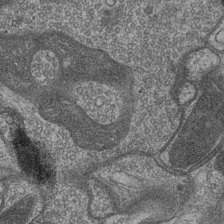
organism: Drosophila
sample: Optic medulla